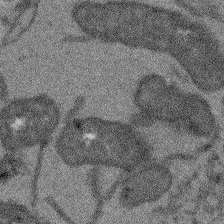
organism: Arabidopsis thaliana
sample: Root tip